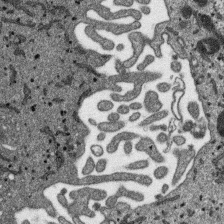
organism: Human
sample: Lung epithelial cells infected with SARS-CoV-2